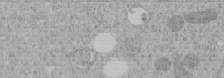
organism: C. elegans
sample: C. elegans embryo early stage